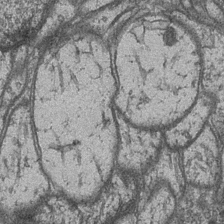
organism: Drosophila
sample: Optic medulla